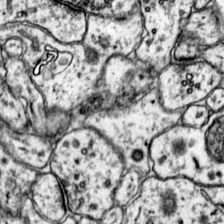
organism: Mouse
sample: Primary visual cortex